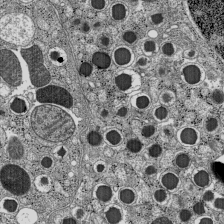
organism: C57BL Mouse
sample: Pancreatic islet